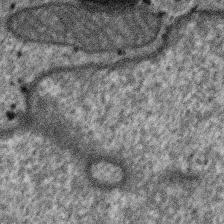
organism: Human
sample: Lung epithelial cells infected with SARS-CoV-2